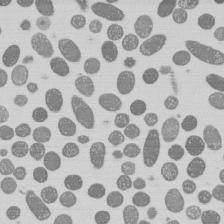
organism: E. coli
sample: Bacterial nucleoid